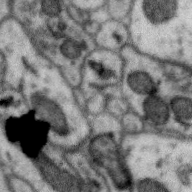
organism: Zebra finch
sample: Brain